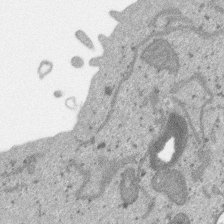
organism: Human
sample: Lung epithelial cells infected with SARS-CoV-2